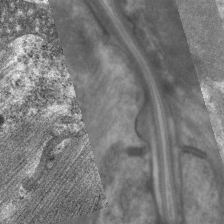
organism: C. elegans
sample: Pharynx